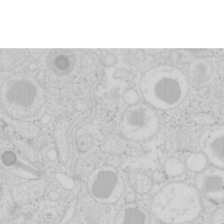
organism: Mouse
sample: Pancreas